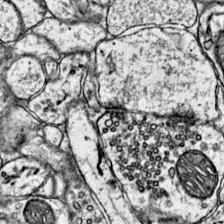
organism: Mouse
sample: Primary visual cortex